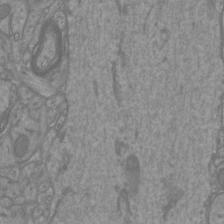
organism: Mouse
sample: Cortical neurons